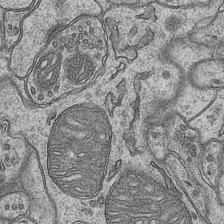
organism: Mouse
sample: CA1 Hippocampus